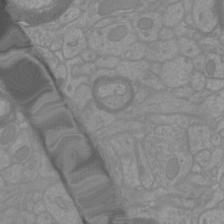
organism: Mouse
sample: Cortical neurons